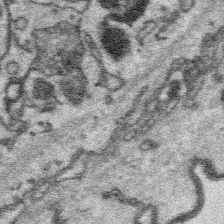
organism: Platynereis dumerilii